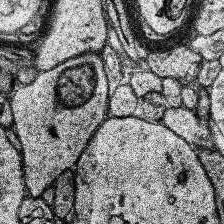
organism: Human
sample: Temporal Lobe